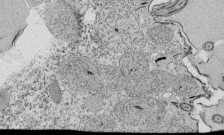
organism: Tetrahymena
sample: Cilia in tetrahymena